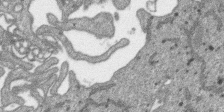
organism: Human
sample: Lung epithelial cells infected with SARS-CoV-2